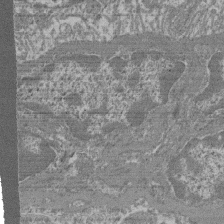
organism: Mouse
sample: Glomerulus